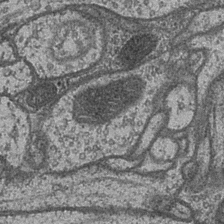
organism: Drosophila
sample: Optic medulla